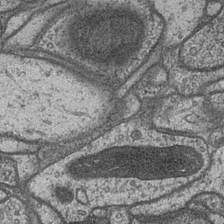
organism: Drosophila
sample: Optic medulla